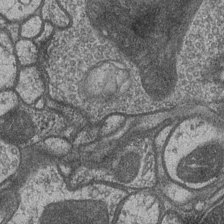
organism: Drosophila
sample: Optic medulla